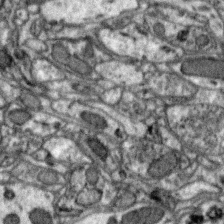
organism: Zebra finch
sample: Brain